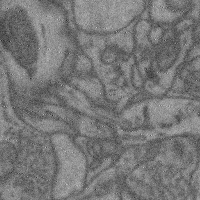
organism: Mouse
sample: Cerebral cortex